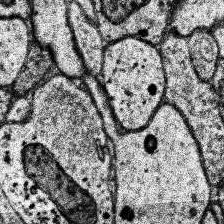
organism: Human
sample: Temporal Lobe